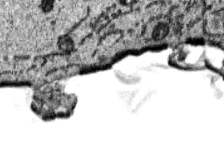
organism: Human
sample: HeLa cells